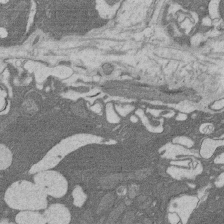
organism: Rat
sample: Salivary granule